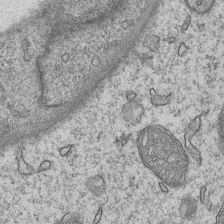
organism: Mouse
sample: CA1 Hippocampus